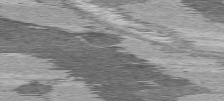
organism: C57BL Mouse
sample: Heart